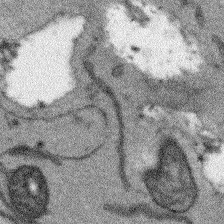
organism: Arabidopsis thaliana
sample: Root tip